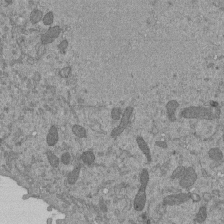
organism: Mouse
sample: ED-1 cell nuclei; centrioles